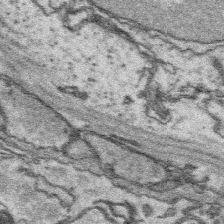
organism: Platynereis dumerilii